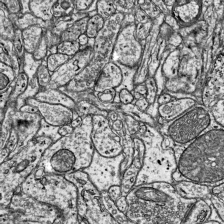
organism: Mouse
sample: Visual Cortex